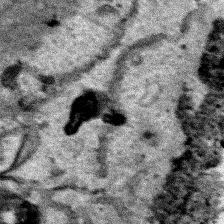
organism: Human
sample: Mitochondria in HCT116 cells